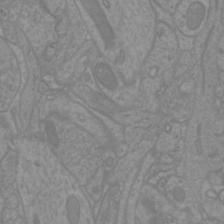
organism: Mouse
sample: Cortical neurons